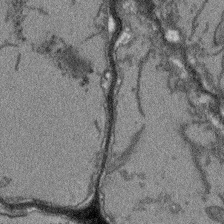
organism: Arabidopsis thaliana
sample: Root tip